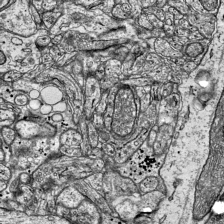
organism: Mouse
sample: Visual Cortex